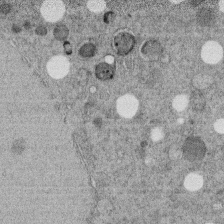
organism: C. elegans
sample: C. elegans embryo early stage